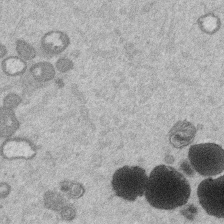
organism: Mouse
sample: Dividing mouse embryo 1 cell stage